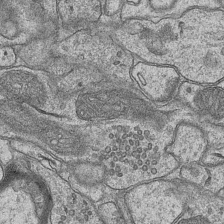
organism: Mouse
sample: CA1 Hippocampus